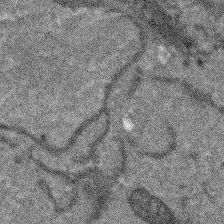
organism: Arabidopsis thaliana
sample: Root tip